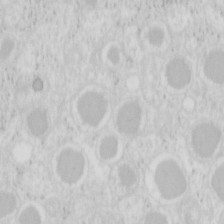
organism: Mouse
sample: Pancreas